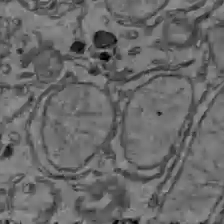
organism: C57BL Mouse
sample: Liver